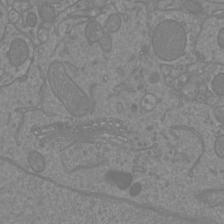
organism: Mouse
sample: Cortical neurons